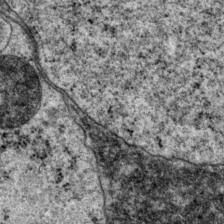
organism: P. pacificus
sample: Pharynx